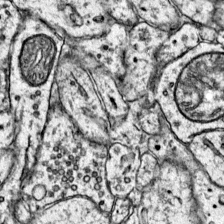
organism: Mouse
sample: Primary visual cortex